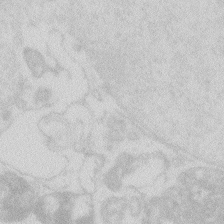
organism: Zebrafish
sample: Macrophage